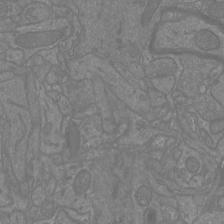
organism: Mouse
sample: Cortical neurons